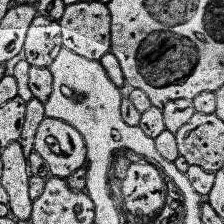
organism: Human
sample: Temporal Lobe